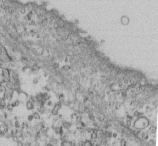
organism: Mouse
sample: Cilia; retinal pigment epithelium